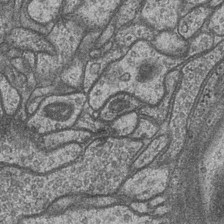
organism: Drosophila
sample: Optic medulla